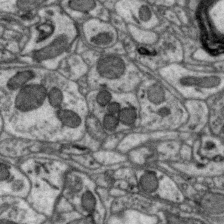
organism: Zebra finch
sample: Brain